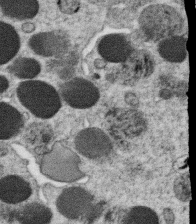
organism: C. elegans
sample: C. elegans oocyte; sperm cells